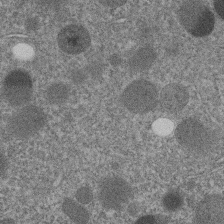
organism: C. elegans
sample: C. elegans embryo early stage